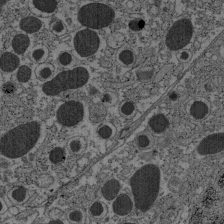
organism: C57BL Mouse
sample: Pancreatic islet